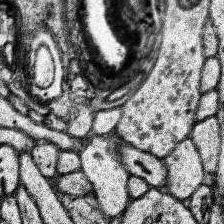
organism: Human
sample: Temporal Lobe